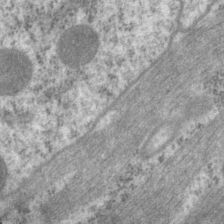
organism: P. pacificus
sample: Pharynx